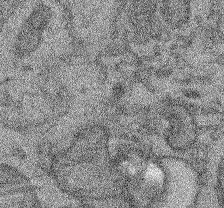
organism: Human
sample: HeLa cells